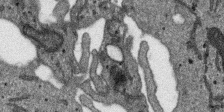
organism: Human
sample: Lung epithelial cells infected with SARS-CoV-2